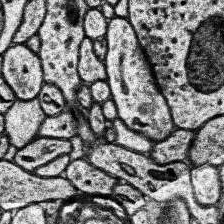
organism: Human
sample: Temporal Lobe